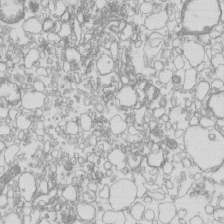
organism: Mouse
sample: Macrophages